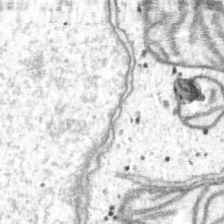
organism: Human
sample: HeLa cells